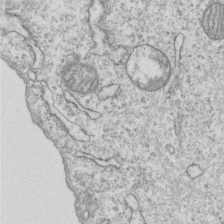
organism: Human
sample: MDA-MB-231 cells